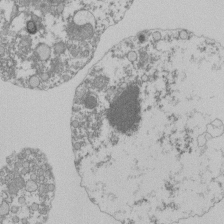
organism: Mouse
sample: Activated Pmel transgenic CD8+ T Cells